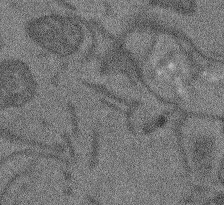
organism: Arabidopsis thaliana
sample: Root tip